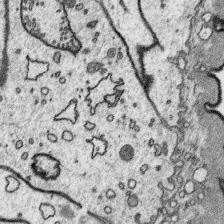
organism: Platynereis dumerilii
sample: Parapodia